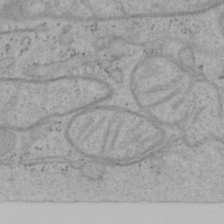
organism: Human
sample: HeLa cells